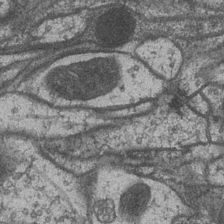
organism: Drosophila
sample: Optic medulla